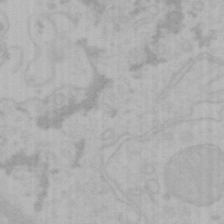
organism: Mouse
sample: Choroid plexus